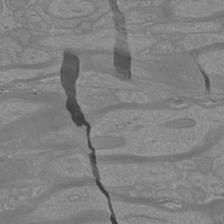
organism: Mouse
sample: Cortical neurons